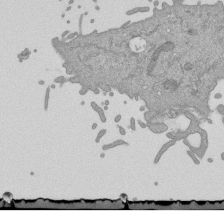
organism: Mouse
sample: ED-1 cell nuclei; centrioles